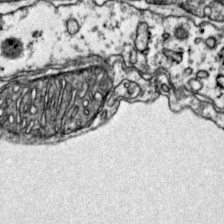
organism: Mouse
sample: Primary visual cortex